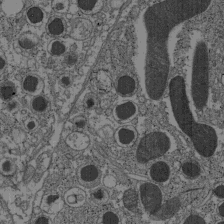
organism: C57BL Mouse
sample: Pancreatic islet